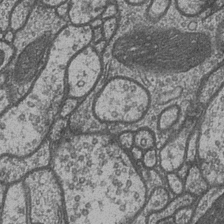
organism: Drosophila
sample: Optic medulla